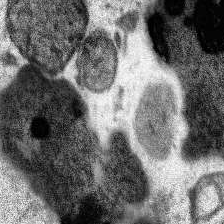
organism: Human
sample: Temporal Lobe